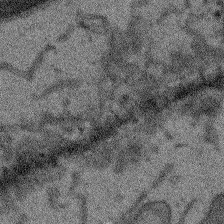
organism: Arabidopsis thaliana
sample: Root tip